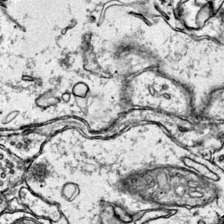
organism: Mouse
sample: Primary visual cortex